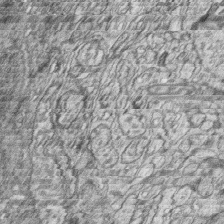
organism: Zebrafish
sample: synaptic ribbons in rod cells and cone cells